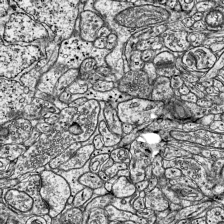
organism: Mouse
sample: Visual Cortex